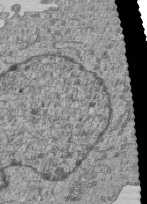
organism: Human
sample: MDA-MB-231 cells